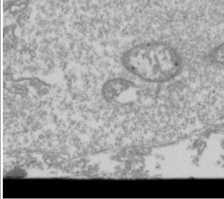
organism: Drosophila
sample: Cell division; meiosis; drosophila spermatocytes